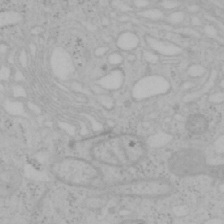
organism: Mouse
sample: OT-I killer T cells with ID8 ovarian cancer cells